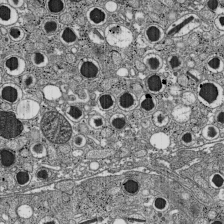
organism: C57BL Mouse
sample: Pancreatic islet